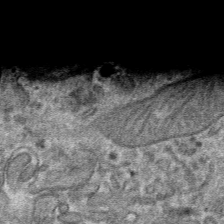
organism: Mouse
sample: Mouse hepatocytes